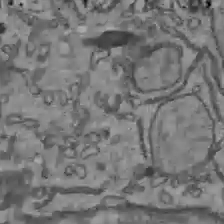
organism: C57BL Mouse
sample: Liver